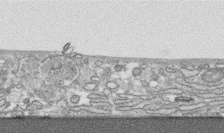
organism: Human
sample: CRL-1474